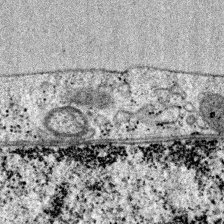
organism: Human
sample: HeLa cells